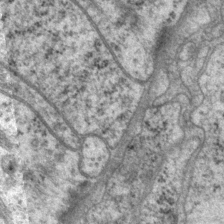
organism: P. pacificus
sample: Pharynx